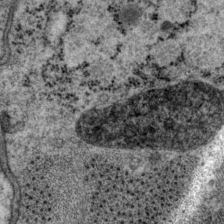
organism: P. pacificus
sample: Pharynx